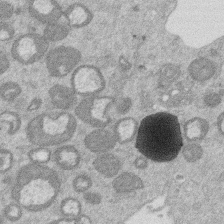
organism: Mouse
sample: Dividing mouse embryo 1 cell stage